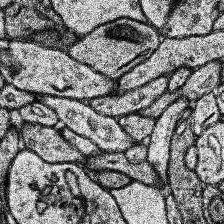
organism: Human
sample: Temporal Lobe